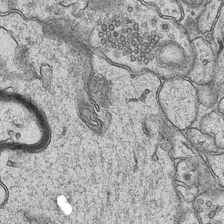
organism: Mouse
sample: CA1 Hippocampus